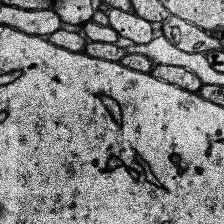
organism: Human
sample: Temporal Lobe